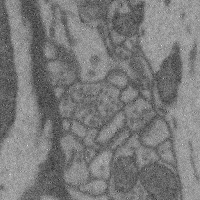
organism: Mouse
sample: Cerebral cortex